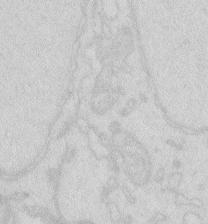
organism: Zebrafish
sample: Macrophage